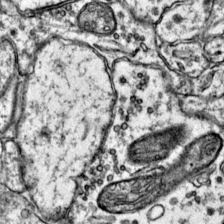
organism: Mouse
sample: Primary visual cortex